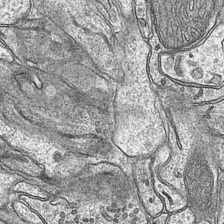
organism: Mouse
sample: CA1 Hippocampus